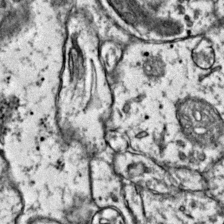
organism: Mouse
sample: Primary visual cortex